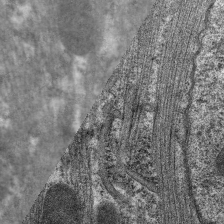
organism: C. elegans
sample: Pharynx